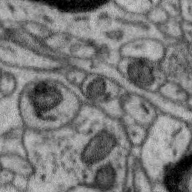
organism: Zebra finch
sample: Brain